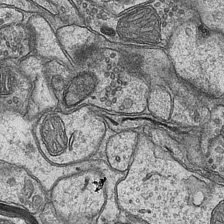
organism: Mouse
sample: CA1 Hippocampus